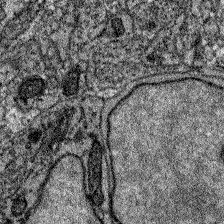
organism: Zebrafish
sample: Larval olfactory bulb